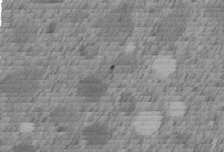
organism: C. elegans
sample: C. elegans embryo early stage